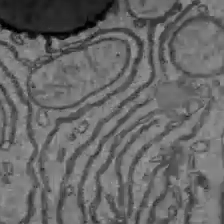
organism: C57BL Mouse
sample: Liver